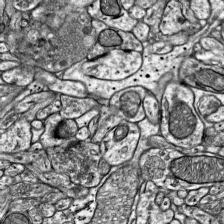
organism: Mouse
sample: Visual Cortex